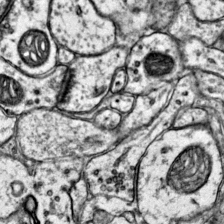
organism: Mouse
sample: Primary visual cortex